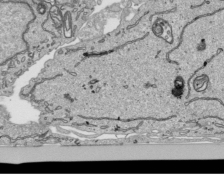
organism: Human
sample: Mitochondria in HCT116 cells